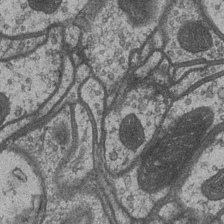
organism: Drosophila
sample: Optic medulla